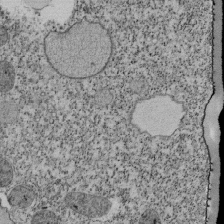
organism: Tetrahymena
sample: Cilia in tetrahymena